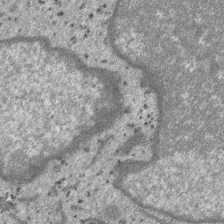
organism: Human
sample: Lung epithelial cells infected with SARS-CoV-2